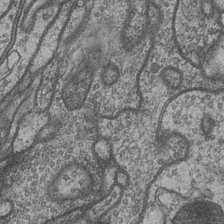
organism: Drosophila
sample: Optic medulla